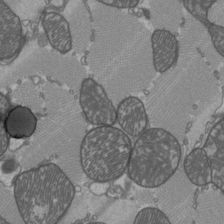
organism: C57BL Mouse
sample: Heart